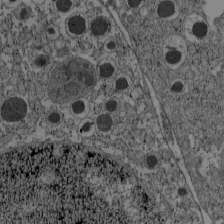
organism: C57BL Mouse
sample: Pancreatic islet